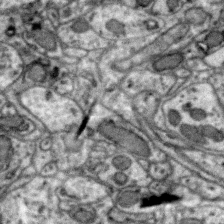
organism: Zebra finch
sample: Brain